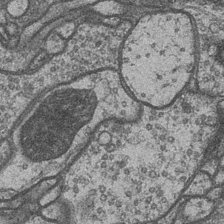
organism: Drosophila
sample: Optic medulla